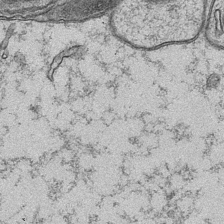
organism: Mouse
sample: CA1 Hippocampus